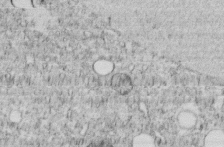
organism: C. elegans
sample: C. elegans embryo early stage